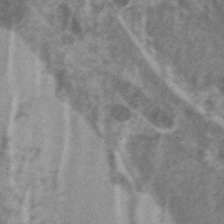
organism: Zebrafish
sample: Zebrafish embryo